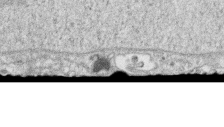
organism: Human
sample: HeLa cell HIV synapse